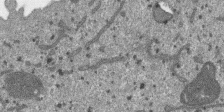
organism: Human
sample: Lung epithelial cells infected with SARS-CoV-2